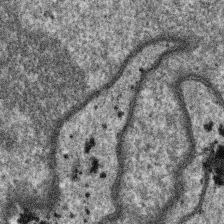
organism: Human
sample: Lung epithelial cells infected with SARS-CoV-2